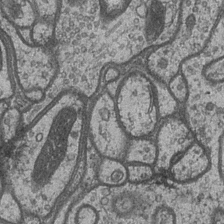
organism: Drosophila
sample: Optic medulla